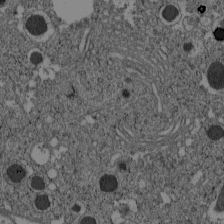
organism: C57BL Mouse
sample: Pancreatic islet